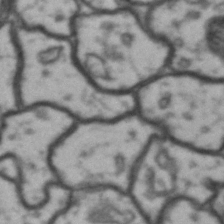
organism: Drosophila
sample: Brain